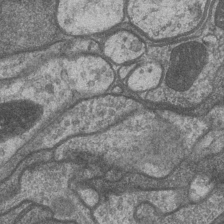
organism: Drosophila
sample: Optic medulla